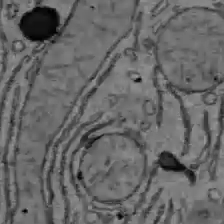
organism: C57BL Mouse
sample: Liver